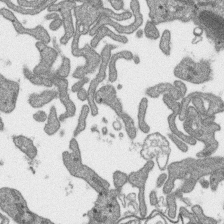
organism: Human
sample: Lung epithelial cells infected with SARS-CoV-2